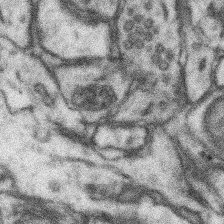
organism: Mouse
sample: Somatosensory cortex neuropil